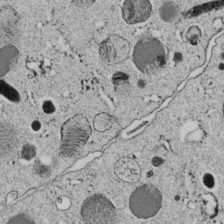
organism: C. elegans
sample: C. elegans embryo early stage